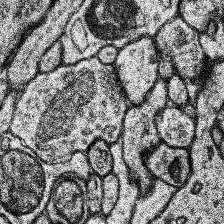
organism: Human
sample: Temporal Lobe